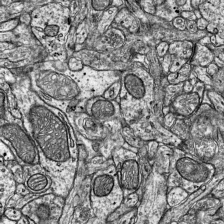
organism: Mouse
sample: Visual Cortex